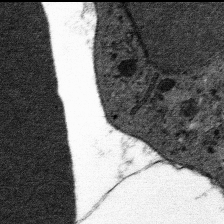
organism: Mouse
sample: Mouse hepatocytes